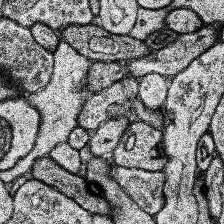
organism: Human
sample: Temporal Lobe